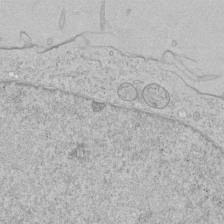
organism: Human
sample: Mitochondria in HCT116 cells